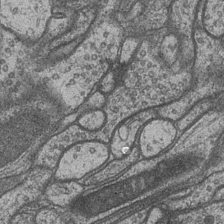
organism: Drosophila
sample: Optic medulla